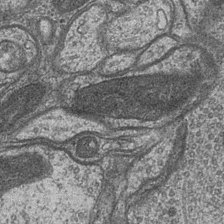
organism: Drosophila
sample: Optic medulla